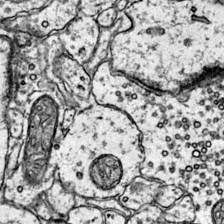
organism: Mouse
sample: Primary visual cortex